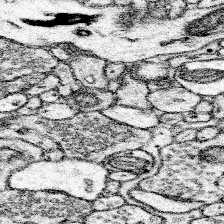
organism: Mouse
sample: Somatosensory cortex neuropil